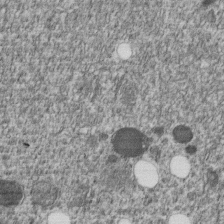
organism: C. elegans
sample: C. elegans embryo early stage